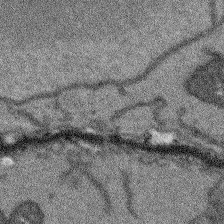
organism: Arabidopsis thaliana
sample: Root tip